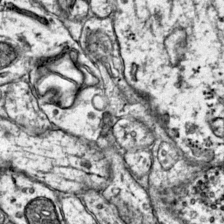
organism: Mouse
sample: Primary visual cortex